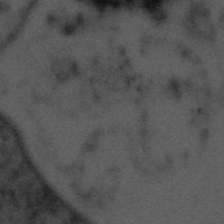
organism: Tuwongella immobilis